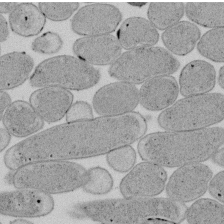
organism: E. coli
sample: Bacterial nucleoid